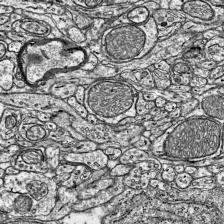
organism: Mouse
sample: Visual Cortex